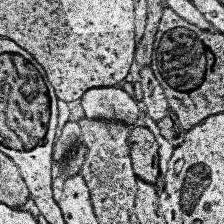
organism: Human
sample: Temporal Lobe